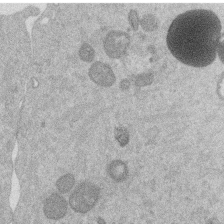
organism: Mouse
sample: Dividing mouse embryo 1 cell stage